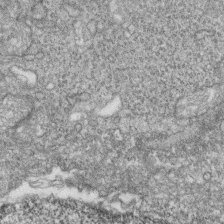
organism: Zebrafish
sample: Cilia; retinal pigment epithelium